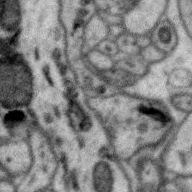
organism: Zebra finch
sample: Brain